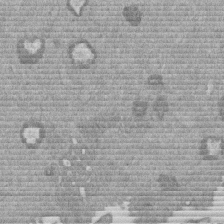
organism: Mouse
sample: Dividing mouse embryo 1 cell stage